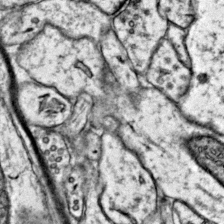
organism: Mouse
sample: Primary visual cortex